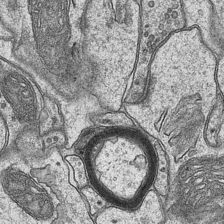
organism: Mouse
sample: CA1 Hippocampus